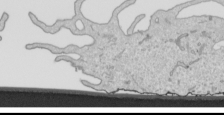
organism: Human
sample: Mitochondria in HCT116 cells